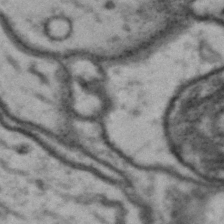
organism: Drosophila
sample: Brain